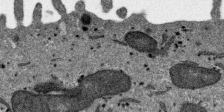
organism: Human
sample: Lung epithelial cells, uninfected (mock) control